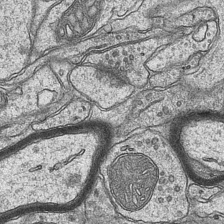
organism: Mouse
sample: CA1 Hippocampus